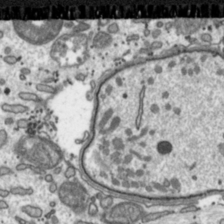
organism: Toxoplasma gondii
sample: Parasites in a vacuole inside a host cell